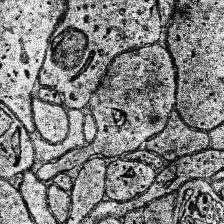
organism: Human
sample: Temporal Lobe